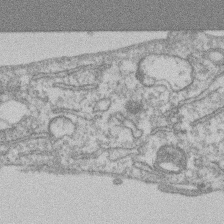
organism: Mouse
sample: T cell stromal cell synapse